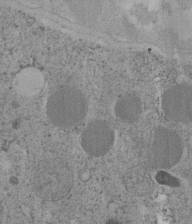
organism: C. elegans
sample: C. elegans embryo early stage